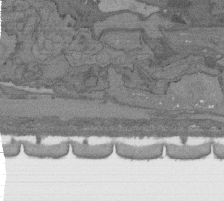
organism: C. elegans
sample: AFD neurons C. elegans